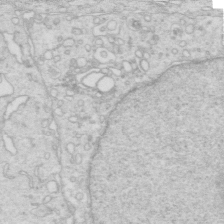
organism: Mouse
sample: Multiciliated cells